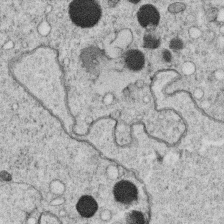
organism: C. elegans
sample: C. elegans oocyte; sperm cells